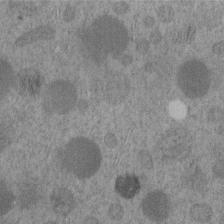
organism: C. elegans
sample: C. elegans embryo early stage